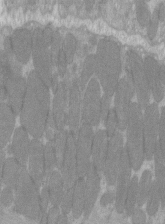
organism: C57BL Mouse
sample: Tibialis anterior muscle cell